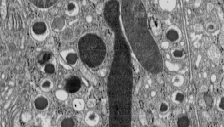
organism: C57BL Mouse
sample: Pancreatic islet